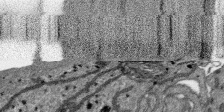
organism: Human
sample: Lung epithelial cells, uninfected (mock) control